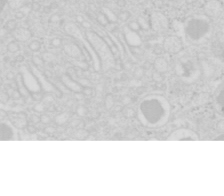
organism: Mouse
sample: Pancreas